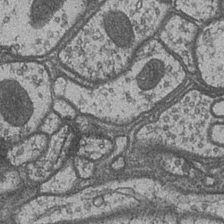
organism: Drosophila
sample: Optic medulla